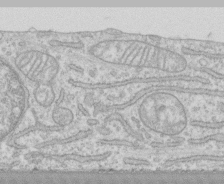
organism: Human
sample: CRL-1474